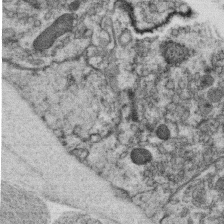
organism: C. elegans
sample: C. elegans oocyte; sperm cells